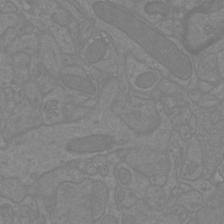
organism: Mouse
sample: Cortical neurons